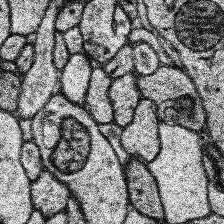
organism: Human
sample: Temporal Lobe